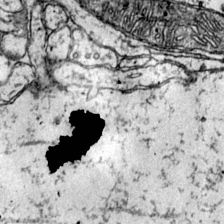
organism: Mouse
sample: Primary visual cortex